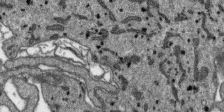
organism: Human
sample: Lung epithelial cells, uninfected (mock) control